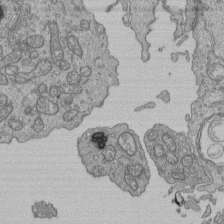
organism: Human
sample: Retinal organoid Rod and Cone cells